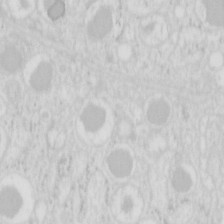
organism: Mouse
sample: Pancreas